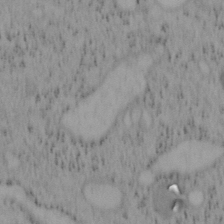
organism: Mouse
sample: OT-I killer T cells with ID8 ovarian cancer cells